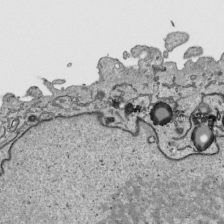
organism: Human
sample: Mitochondria in HCT116 cells